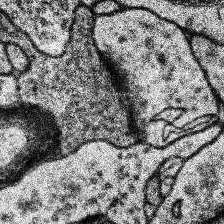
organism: Human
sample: Temporal Lobe